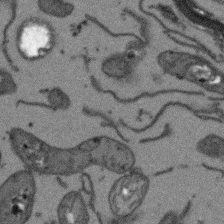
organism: Arabidopsis thaliana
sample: Root tip